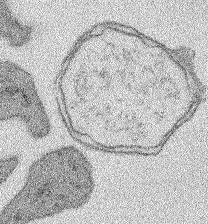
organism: Human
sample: HeLa cells